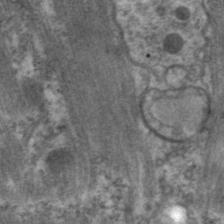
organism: C. elegans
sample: Pharynx